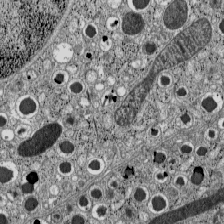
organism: C57BL Mouse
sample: Pancreatic islet